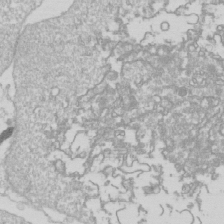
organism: Drosophila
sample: Cell division; meiosis; drosophila spermatocytes